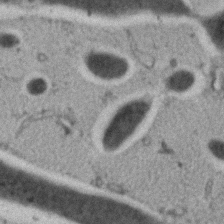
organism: C. elegans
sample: C. elegans embryo